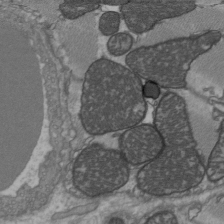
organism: C57BL Mouse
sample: Heart